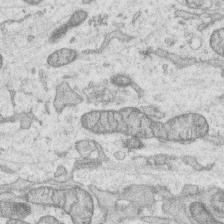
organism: Human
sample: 1205lu cells